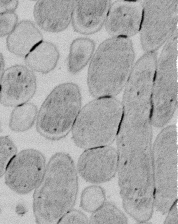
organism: E. coli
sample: Bacterial nucleoid